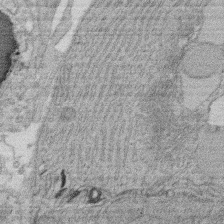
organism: Rat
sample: Salivary granule